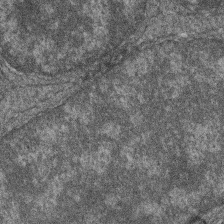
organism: Zebrafish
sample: Cilia; retinal pigment epithelium